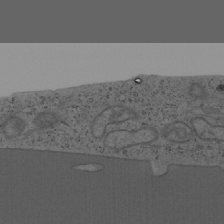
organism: Human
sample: HeLa cells